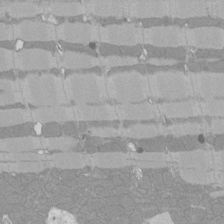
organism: Rat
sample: Left ventricle